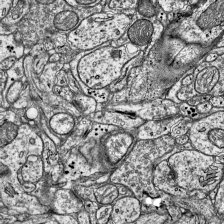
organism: Mouse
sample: Visual Cortex